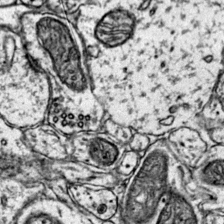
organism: Mouse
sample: Primary visual cortex